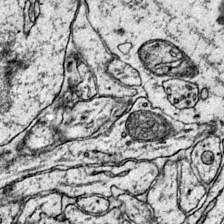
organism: Mouse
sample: Primary visual cortex